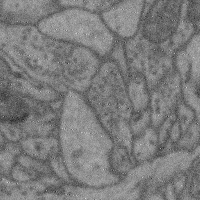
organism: Mouse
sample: Cerebral cortex